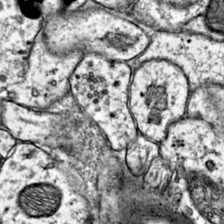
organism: Mouse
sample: Primary visual cortex